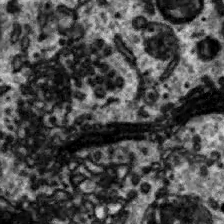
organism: Human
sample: HeLa cells